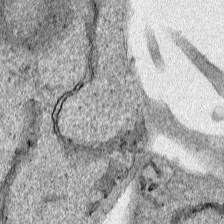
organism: Human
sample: Mitochondria in HCT116 cells